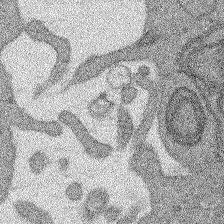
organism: Human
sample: HeLa cells